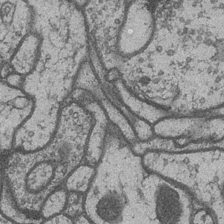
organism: Drosophila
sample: Optic medulla